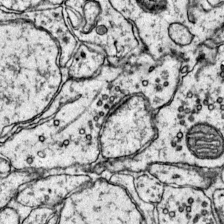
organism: Mouse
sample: Primary visual cortex